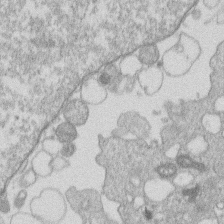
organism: Human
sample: Macrophage cells